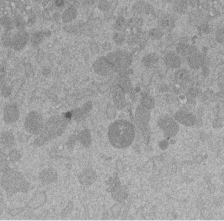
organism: Mouse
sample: Dividing mouse embryo 1 cell stage